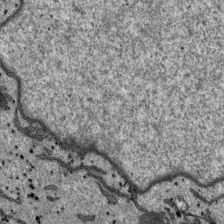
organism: Human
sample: Lung epithelial cells, uninfected (mock) control